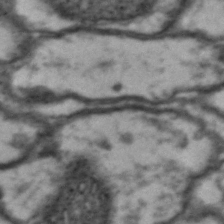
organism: Drosophila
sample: Brain